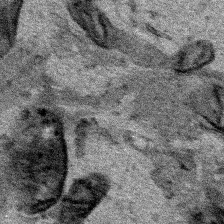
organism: Human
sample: Mitochondria in HCT116 cells